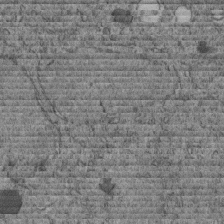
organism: C. elegans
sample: C. elegans embryo early stage